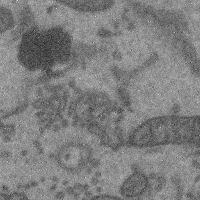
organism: Mouse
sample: Cerebral cortex